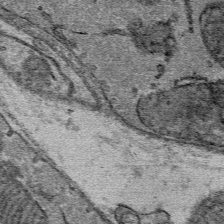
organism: Mouse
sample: Mouse Salivary gland